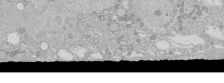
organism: Human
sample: Caco-2 cells